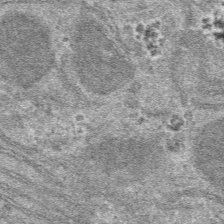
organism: Mouse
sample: Mouse hepatocytes